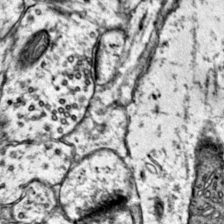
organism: Mouse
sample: Primary visual cortex